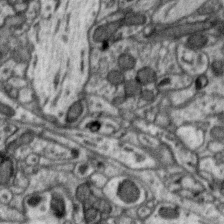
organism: Zebra finch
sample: Brain